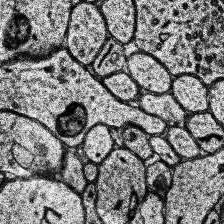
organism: Human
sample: Temporal Lobe